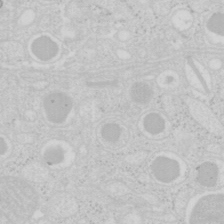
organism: Mouse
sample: Pancreas